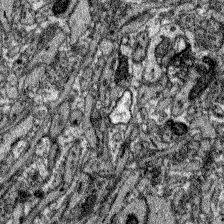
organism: Zebrafish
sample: Larval olfactory bulb